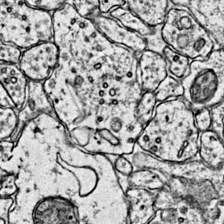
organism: Mouse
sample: Primary visual cortex